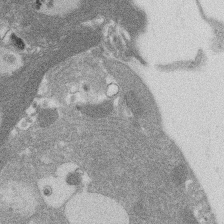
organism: Rat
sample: Salivary granule